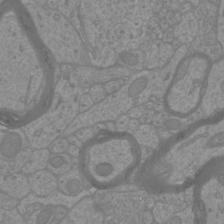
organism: Mouse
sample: Cortical neurons